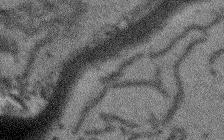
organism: Arabidopsis thaliana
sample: Root tip